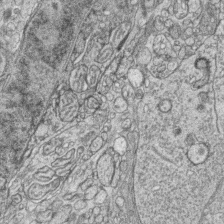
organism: Zebrafish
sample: synaptic ribbons in rod cells and cone cells